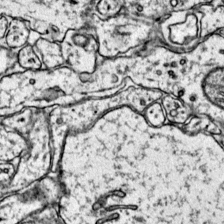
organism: Mouse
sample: Primary visual cortex